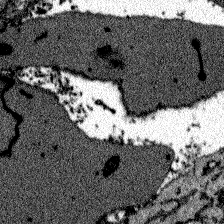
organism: Zebrafish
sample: Larval olfactory bulb